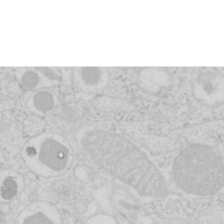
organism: Mouse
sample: Pancreas